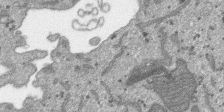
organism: Human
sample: Lung epithelial cells infected with SARS-CoV-2